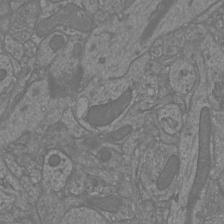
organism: Mouse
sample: Cortical neurons